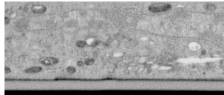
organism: Human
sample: Centriole in RPE cells